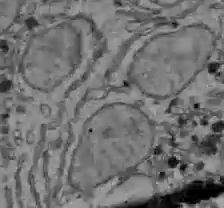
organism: C57BL Mouse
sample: Liver